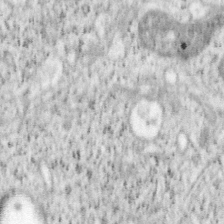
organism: Mouse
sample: OT-I killer T cells with ID8 ovarian cancer cells